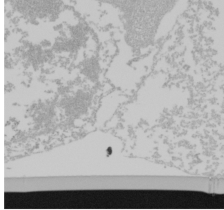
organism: Mouse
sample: Cancer cell death in ED-1 cells